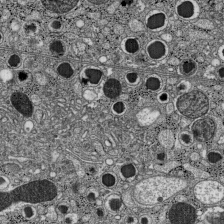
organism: C57BL Mouse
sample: Pancreatic islet